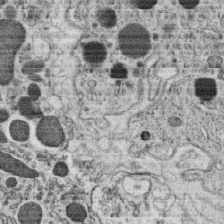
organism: C. elegans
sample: C. elegans oocyte; sperm cells